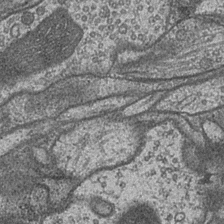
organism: Drosophila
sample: Optic medulla